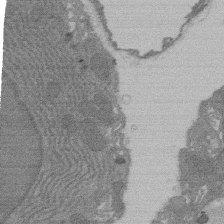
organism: Rat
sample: Salivary granule